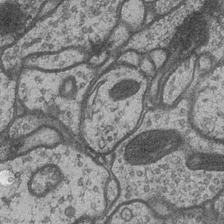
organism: Drosophila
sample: Optic medulla